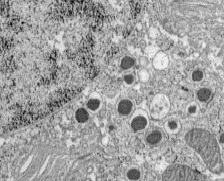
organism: C57BL Mouse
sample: Pancreatic islet